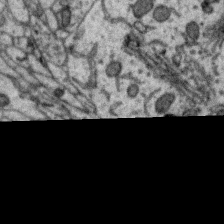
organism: Zebra finch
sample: Brain